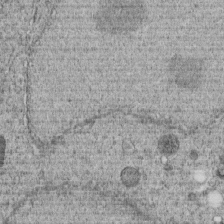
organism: C. elegans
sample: C. elegans embryo early stage